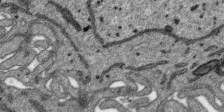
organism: Human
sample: Lung epithelial cells, uninfected (mock) control